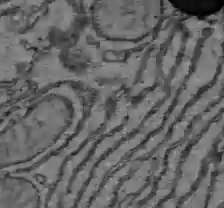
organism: C57BL Mouse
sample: Liver